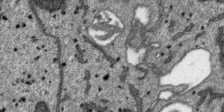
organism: Human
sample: Lung epithelial cells, uninfected (mock) control